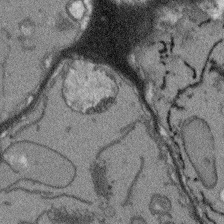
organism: Arabidopsis thaliana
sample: Root tip